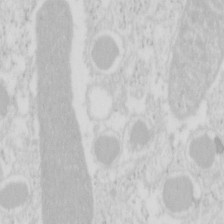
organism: Mouse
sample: Pancreas